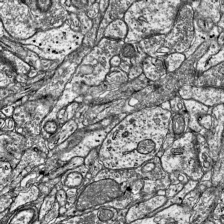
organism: Mouse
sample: Visual Cortex